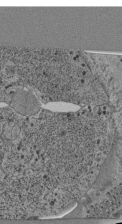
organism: C. elegans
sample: C. elegans pharynx